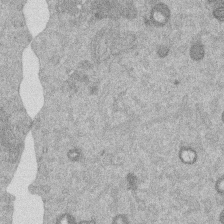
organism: Mouse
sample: Dividing mouse embryo 1 cell stage